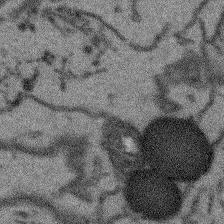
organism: Arabidopsis thaliana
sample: Root tip